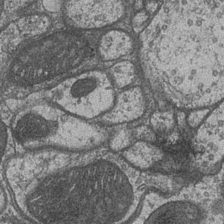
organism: Drosophila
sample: Optic medulla